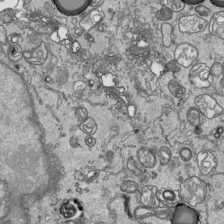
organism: Human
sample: Mitochondria in HCT116 cells